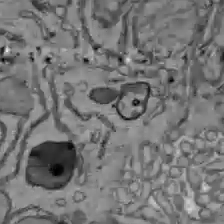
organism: C57BL Mouse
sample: Liver